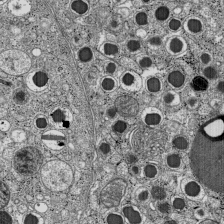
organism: C57BL Mouse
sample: Pancreatic islet